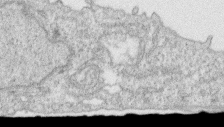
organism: Human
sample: HeLa cell HIV synapse